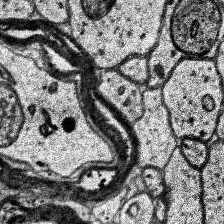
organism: Human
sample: Temporal Lobe